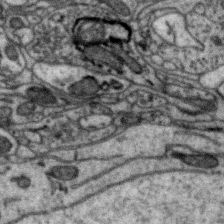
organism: Zebra finch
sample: Brain